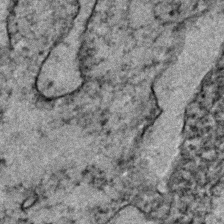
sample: Trachea